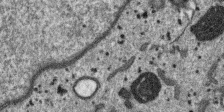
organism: Human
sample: Lung epithelial cells infected with SARS-CoV-2